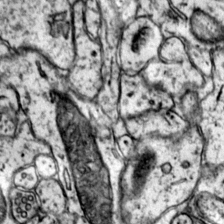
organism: Mouse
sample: Primary visual cortex